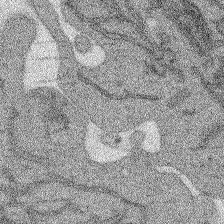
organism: Human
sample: HeLa cells